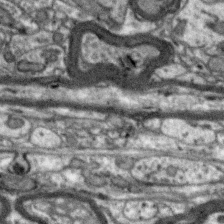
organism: Zebra finch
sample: Brain